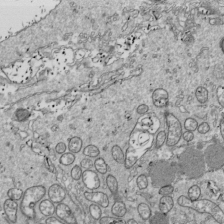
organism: Drosophila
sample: Cell division; meiosis; drosophila spermatocytes